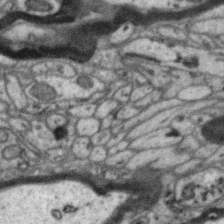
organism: Zebra finch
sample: Brain